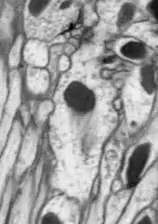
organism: Drosophila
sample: Optic lobe